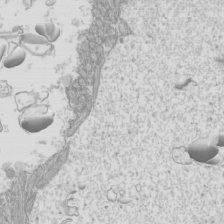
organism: Mouse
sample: Cilia; mouse epididymis